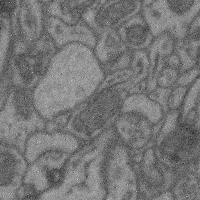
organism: Mouse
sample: Cerebral cortex